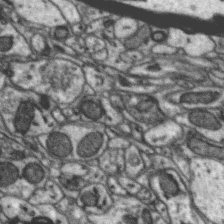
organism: Zebra finch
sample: Brain